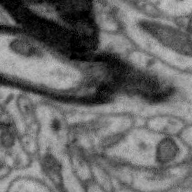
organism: Zebra finch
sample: Brain